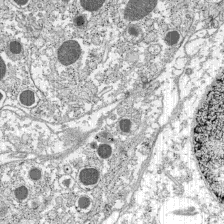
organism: C57BL Mouse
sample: Pancreatic islet